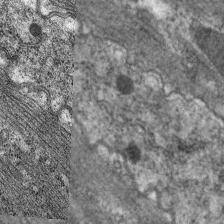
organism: C. elegans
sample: Pharynx